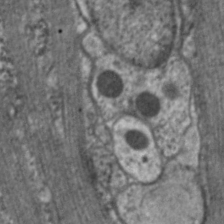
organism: C. elegans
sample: Pharynx